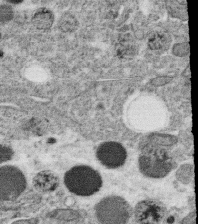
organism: C. elegans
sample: C. elegans oocyte; sperm cells